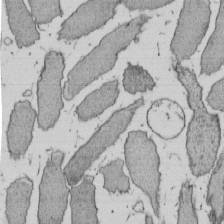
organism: E. coli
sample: Bacterial nucleoid